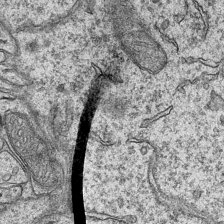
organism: Mouse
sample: CA1 Hippocampus